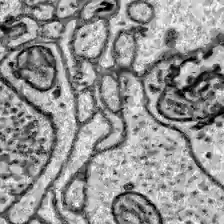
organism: Zebrafish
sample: Brain